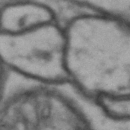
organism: Drosophila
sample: Brain